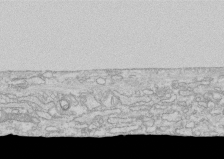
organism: Human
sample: CRL-1474